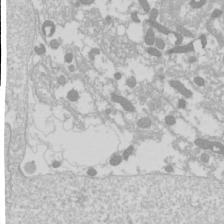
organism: Drosophila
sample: Cell division; meiosis; drosophila spermatocytes